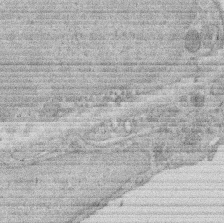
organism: Rat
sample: Salivary granule